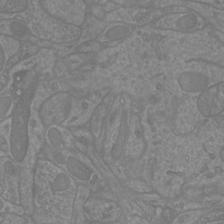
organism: Mouse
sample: Cortical neurons